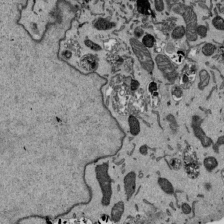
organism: Mouse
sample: ED-1 cell nuclei; centrioles